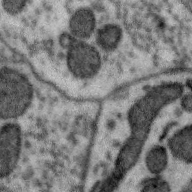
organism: Zebra finch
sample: Brain